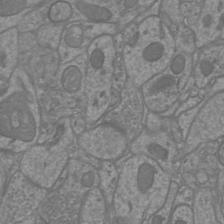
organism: Mouse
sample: Cortical neurons